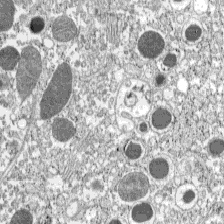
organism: C57BL Mouse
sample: Pancreatic islet